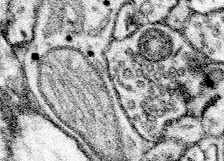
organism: Mouse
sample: Somatosensory cortex neuropil